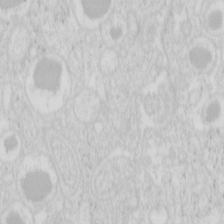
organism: Mouse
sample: Pancreas